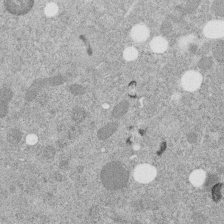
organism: C. elegans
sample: C. elegans embryo early stage